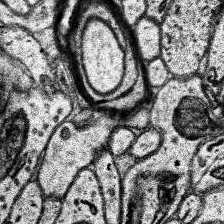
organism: Human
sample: Temporal Lobe